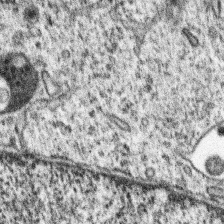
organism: Human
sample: HeLa cells